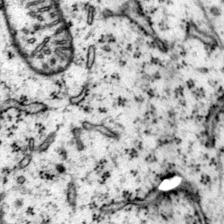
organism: Mouse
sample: Primary visual cortex